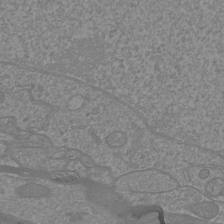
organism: Mouse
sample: Cortical neurons